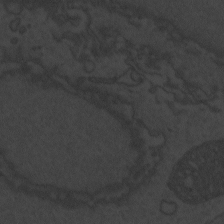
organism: Zebrafish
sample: Macrophage infected with Toxoplasma gondii